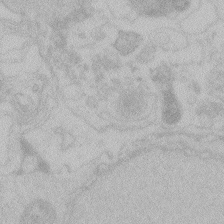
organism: Zebrafish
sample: Macrophage infected with Toxoplasma gondii